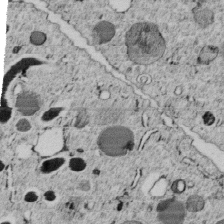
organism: C. elegans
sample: C. elegans embryo early stage